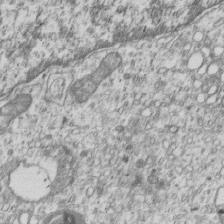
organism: Human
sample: MDA-MB-231 cells